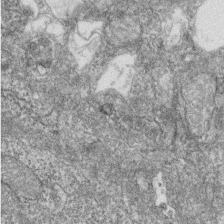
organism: Zebrafish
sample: Cilia; retinal pigment epithelium